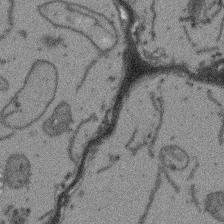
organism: Arabidopsis thaliana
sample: Root tip